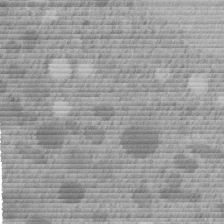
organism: C. elegans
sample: C. elegans embryo early stage